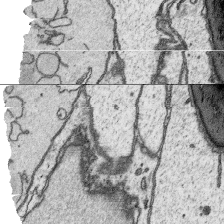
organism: Platynereis dumerilii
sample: Parapodia